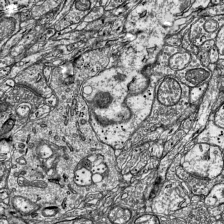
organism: Mouse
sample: Visual Cortex